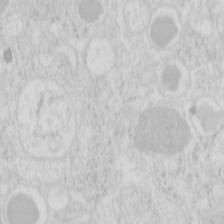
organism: Mouse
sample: Pancreas